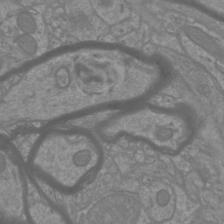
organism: Mouse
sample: Cortical neurons